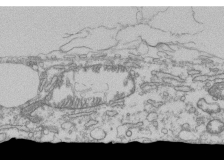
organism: Human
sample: Fibroblast cells